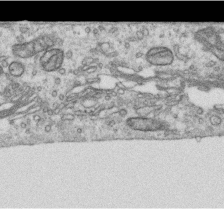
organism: Human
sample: Centriole in RPE cells